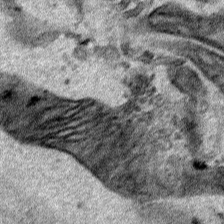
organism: Human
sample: Mitochondria in HCT116 cells